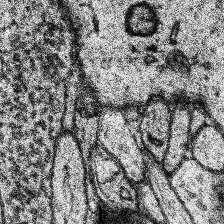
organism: Human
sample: Temporal Lobe